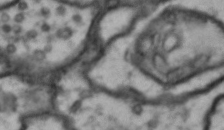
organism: Drosophila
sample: Brain